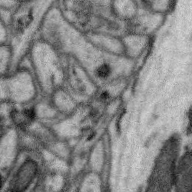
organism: Zebra finch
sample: Brain